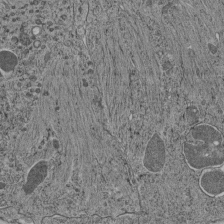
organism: C. elegans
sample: C. elegans pharynx